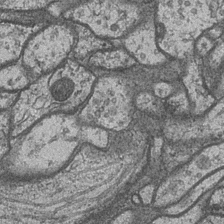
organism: Drosophila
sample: Optic medulla